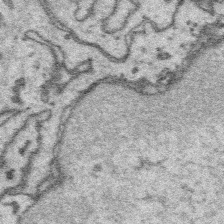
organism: Platynereis dumerilii